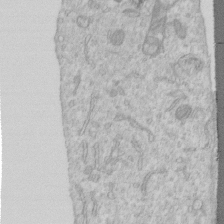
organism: Human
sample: Centriole in RPE cells